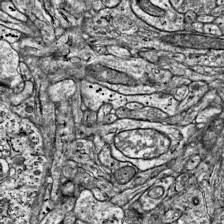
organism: Mouse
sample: Visual Cortex